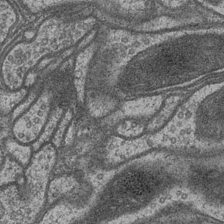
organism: Drosophila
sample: Optic medulla